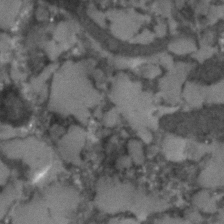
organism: C. elegans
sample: C. elegans embryo